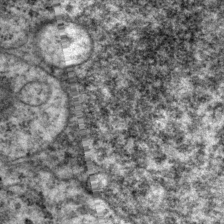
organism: P. pacificus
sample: Pharynx